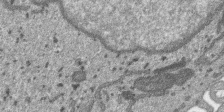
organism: Human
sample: Lung epithelial cells infected with SARS-CoV-2